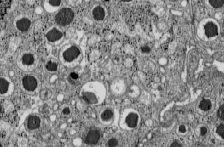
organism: C57BL Mouse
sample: Pancreatic islet